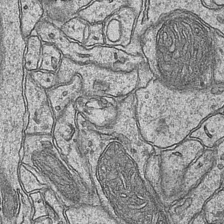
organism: Mouse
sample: CA1 Hippocampus